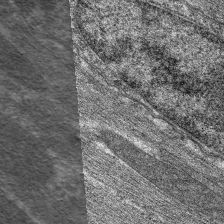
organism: C. elegans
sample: Pharynx